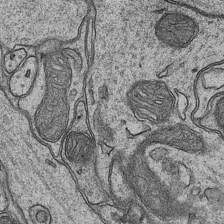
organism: Mouse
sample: CA1 Hippocampus